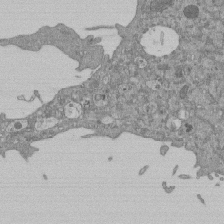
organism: Mouse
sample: ED-1 cell nuclei; centrioles